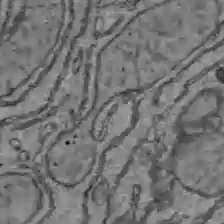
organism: C57BL Mouse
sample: Liver